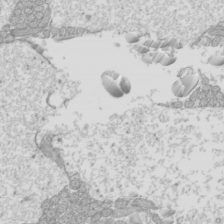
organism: Mouse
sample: Cilia; mouse epididymis